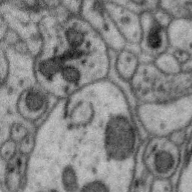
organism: Zebra finch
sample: Brain